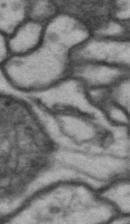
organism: Drosophila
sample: Brain